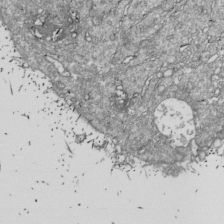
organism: Drosophila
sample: Cell division; meiosis; drosophila spermatocytes